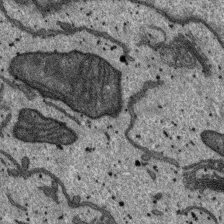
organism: Human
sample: Lung epithelial cells, uninfected (mock) control